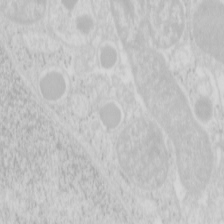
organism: Mouse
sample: Pancreas